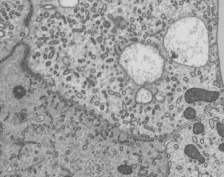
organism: Mouse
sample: Mouse epididymis efferent ductule cilia